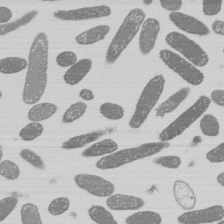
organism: E. coli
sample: Bacterial nucleoid